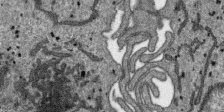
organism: Human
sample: Lung epithelial cells, uninfected (mock) control